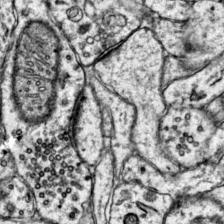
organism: Mouse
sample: Primary visual cortex